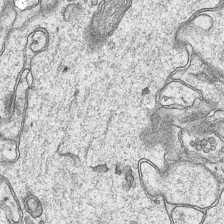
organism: Mouse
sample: CA1 Hippocampus